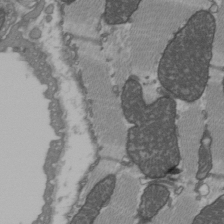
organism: C57BL Mouse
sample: Heart